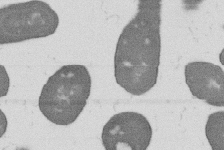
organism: B. subtilis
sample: Bacterial spore